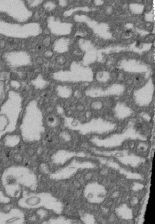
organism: Drosophila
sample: Nephrocyte